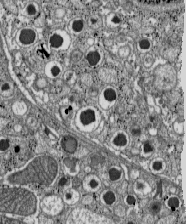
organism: C57BL Mouse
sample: Pancreatic islet